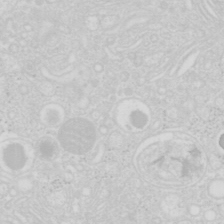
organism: Mouse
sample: Pancreas